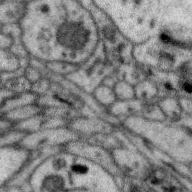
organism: Zebra finch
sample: Brain